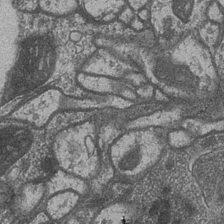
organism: Drosophila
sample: Optic medulla